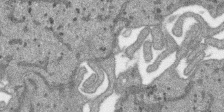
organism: Human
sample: Lung epithelial cells infected with SARS-CoV-2